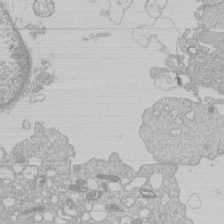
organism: Human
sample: Macrophage cells